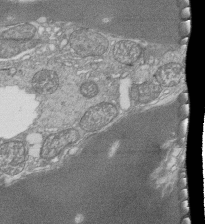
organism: Tetrahymena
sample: Cilia in tetrahymena